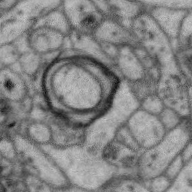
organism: Zebra finch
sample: Brain